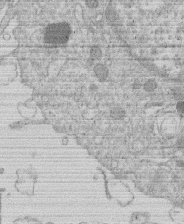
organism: Human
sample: Macrophage cells